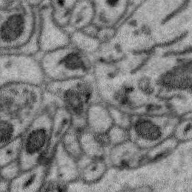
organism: Zebra finch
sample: Brain